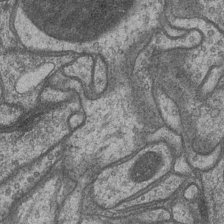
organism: Drosophila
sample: Optic medulla